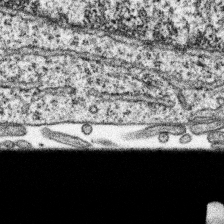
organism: Human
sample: HeLa cells